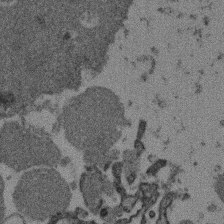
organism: Mouse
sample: Dividing mouse embryo 1 cell stage